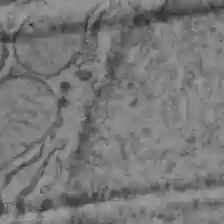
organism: C57BL Mouse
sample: Liver